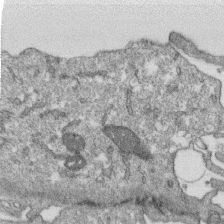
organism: African green monkey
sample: Vero E6 cells infected with SARS-CoV-2